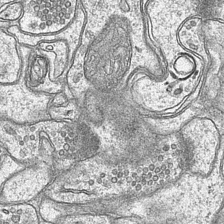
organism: Mouse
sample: CA1 Hippocampus